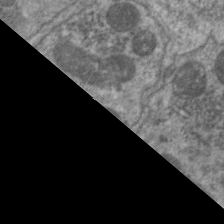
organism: C. elegans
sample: Pharynx